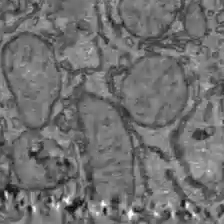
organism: C57BL Mouse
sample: Liver